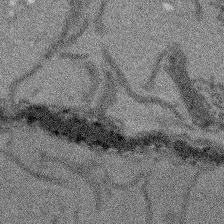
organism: Arabidopsis thaliana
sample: Root tip